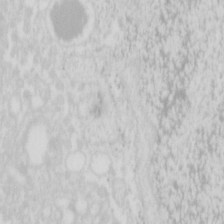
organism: Mouse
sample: Pancreas